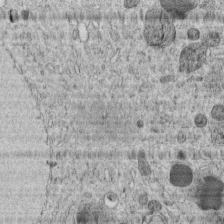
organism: C. elegans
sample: C. elegans embryo early stage